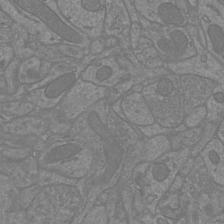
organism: Mouse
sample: Cortical neurons